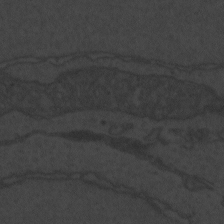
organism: Zebrafish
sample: Macrophage infected with Toxoplasma gondii